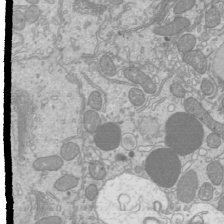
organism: Mouse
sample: Cilia; mouse epididymis